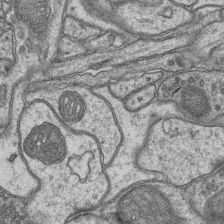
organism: Mouse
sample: CA1 Hippocampus